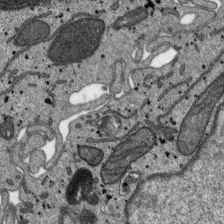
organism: Human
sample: Lung epithelial cells, uninfected (mock) control